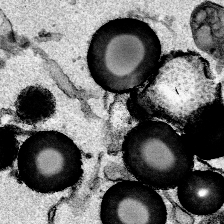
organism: Mouse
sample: Cancer cell death in ED-1 cells